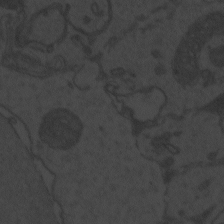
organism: Zebrafish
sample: Macrophage infected with Toxoplasma gondii